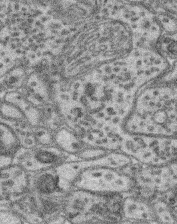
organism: Mouse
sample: Retina